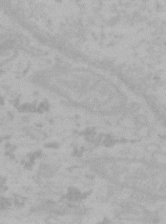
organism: Mouse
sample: Choroid plexus